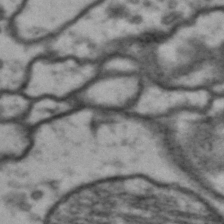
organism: Drosophila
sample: Brain